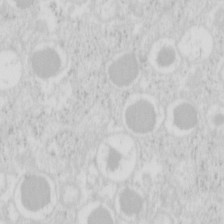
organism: Mouse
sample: Pancreas